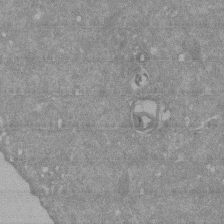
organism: Mouse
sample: ED-1 cell nuclei; centrioles